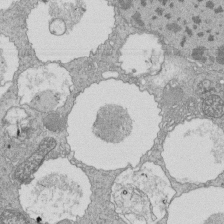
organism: Tetrahymena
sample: Cilia in tetrahymena